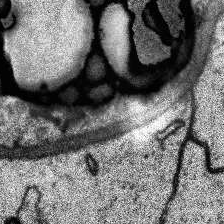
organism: Human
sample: Temporal Lobe